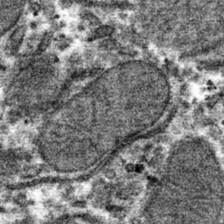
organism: Mouse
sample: Mouse hepatocytes